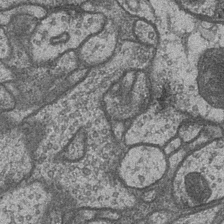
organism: Drosophila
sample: Optic medulla